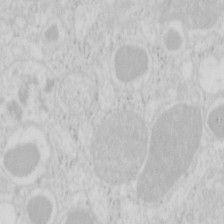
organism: Mouse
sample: Pancreas